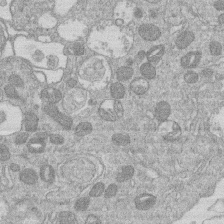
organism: Human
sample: Macrophage cells